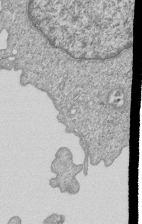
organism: Human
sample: MDA-MB-231 cells